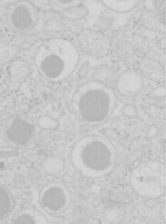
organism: Mouse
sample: Pancreas